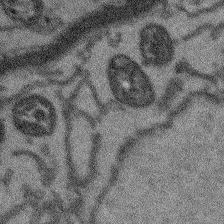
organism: Arabidopsis thaliana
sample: Root tip